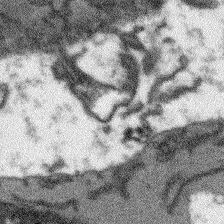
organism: Arabidopsis thaliana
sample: Root tip